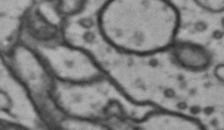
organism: Drosophila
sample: Brain